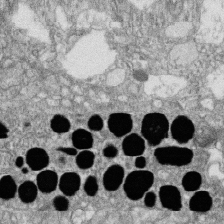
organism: Zebrafish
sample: Cilia; retinal pigment epithelium